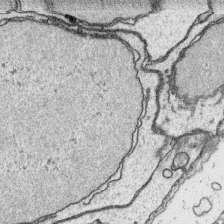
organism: Platynereis dumerilii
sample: Parapodia